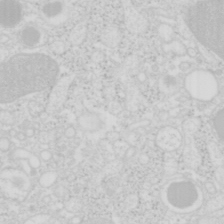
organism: Mouse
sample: Pancreas